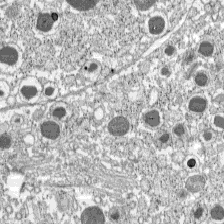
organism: C57BL Mouse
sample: Pancreatic islet